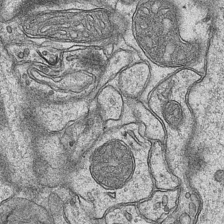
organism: Mouse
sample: CA1 Hippocampus